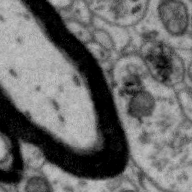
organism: Zebra finch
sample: Brain